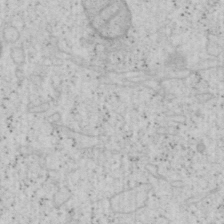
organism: Human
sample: HeLa cells